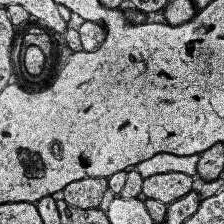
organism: Human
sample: Temporal Lobe